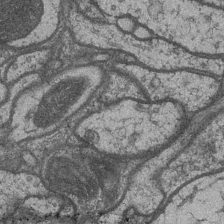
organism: Drosophila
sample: Optic medulla